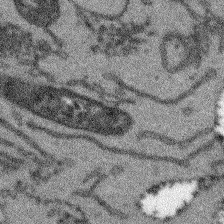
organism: Arabidopsis thaliana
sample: Root tip